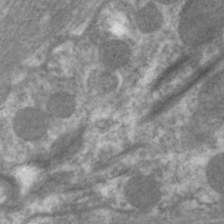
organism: C. elegans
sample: Pharynx